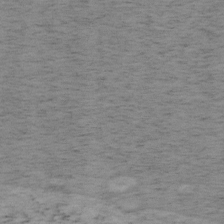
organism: Mouse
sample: OT-I killer T cells with ID8 ovarian cancer cells